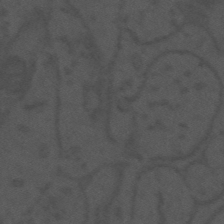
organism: Mouse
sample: Suprachiasmatic nucleus